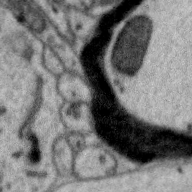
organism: Zebra finch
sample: Brain